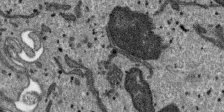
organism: Human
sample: Lung epithelial cells, uninfected (mock) control